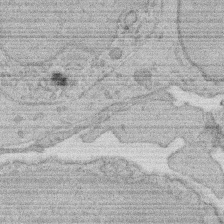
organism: Rat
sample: Salivary granule